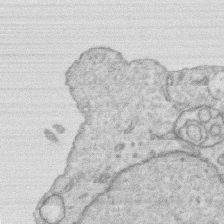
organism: Human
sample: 1205lu cells